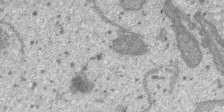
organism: Human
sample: Lung epithelial cells infected with SARS-CoV-2